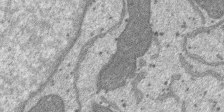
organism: Human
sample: Lung epithelial cells infected with SARS-CoV-2